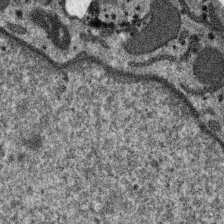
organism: Human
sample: Lung epithelial cells infected with SARS-CoV-2